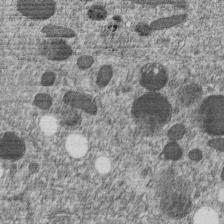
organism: C. elegans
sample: C. elegans embryo early stage